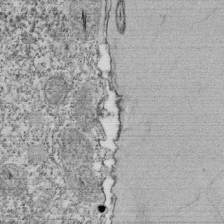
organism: Tetrahymena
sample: Cilia in tetrahymena